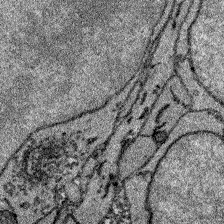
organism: Zebrafish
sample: Larval olfactory bulb